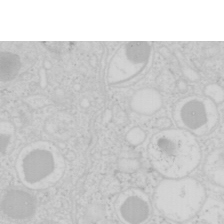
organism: Mouse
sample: Pancreas